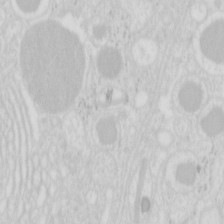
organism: Mouse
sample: Pancreas